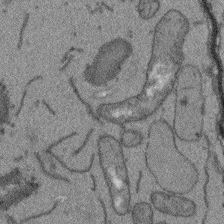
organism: Arabidopsis thaliana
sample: Root tip